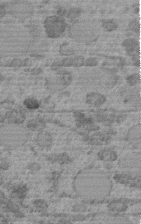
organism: C. elegans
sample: C. elegans embryo early stage